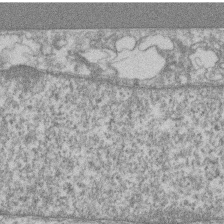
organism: Mouse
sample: T cell stromal cell synapse